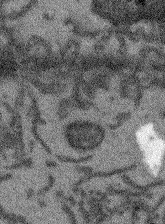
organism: Arabidopsis thaliana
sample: Root tip